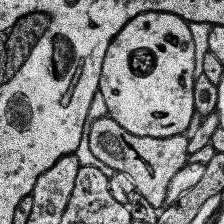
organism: Human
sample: Temporal Lobe